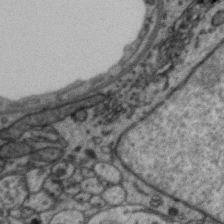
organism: Zebra finch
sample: Brain